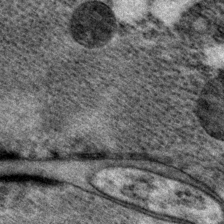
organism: P. pacificus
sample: Pharynx